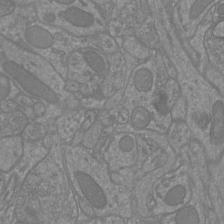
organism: Mouse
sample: Cortical neurons